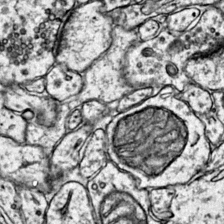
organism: Mouse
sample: Primary visual cortex